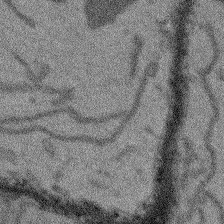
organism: Arabidopsis thaliana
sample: Root tip